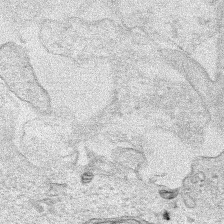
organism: Human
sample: Mitochondria in HCT116 cells